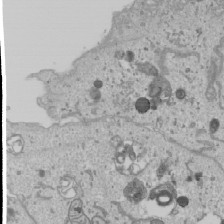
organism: Human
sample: Mitochondria in U2OS cells